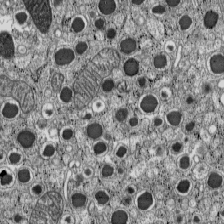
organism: C57BL Mouse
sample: Pancreatic islet